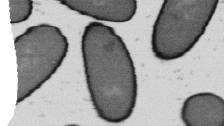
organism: B. subtilis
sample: Bacterial spore